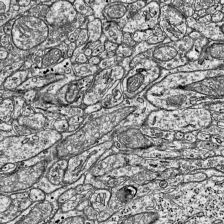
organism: Mouse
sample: Visual Cortex